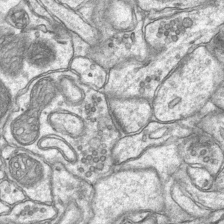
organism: Mouse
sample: CA1 Hippocampus